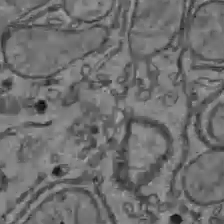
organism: C57BL Mouse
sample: Liver